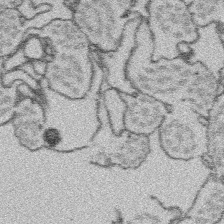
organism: Platynereis dumerilii